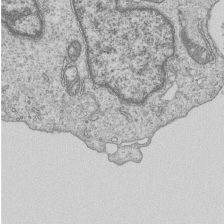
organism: Human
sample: MDA-MB-231 cells